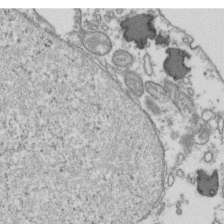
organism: Human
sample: Activated Jurkat CD4+ T cells